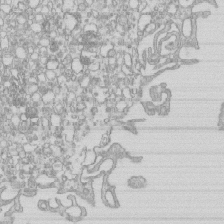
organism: Mouse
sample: Macrophages